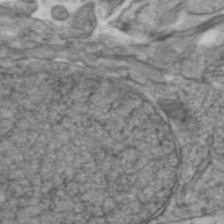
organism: Zebrafish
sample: Zebrafish embryo